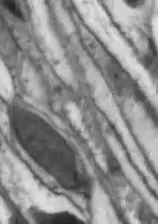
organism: Drosophila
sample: Optic lobe